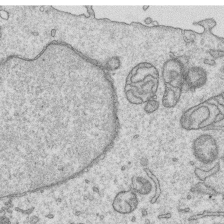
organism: Human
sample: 1205lu cells